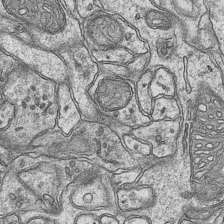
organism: Mouse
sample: CA1 Hippocampus